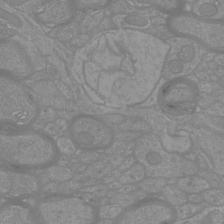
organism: Mouse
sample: Cortical neurons